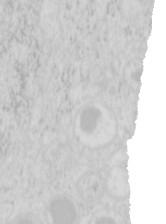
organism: Mouse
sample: Pancreas